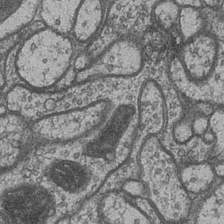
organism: Drosophila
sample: Optic medulla